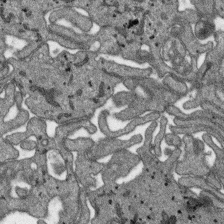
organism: Human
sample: Lung epithelial cells, uninfected (mock) control